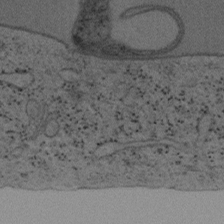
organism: Human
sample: HeLa cells